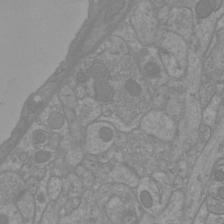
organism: Mouse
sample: Cortical neurons